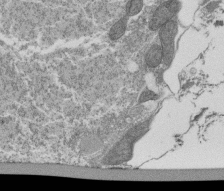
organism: Tetrahymena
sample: Cilia in tetrahymena